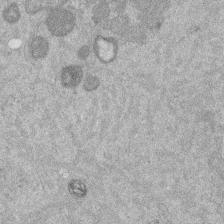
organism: Mouse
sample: Dividing mouse embryo 1 cell stage